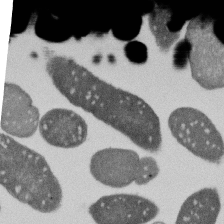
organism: E. coli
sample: Bacterial nucleoid